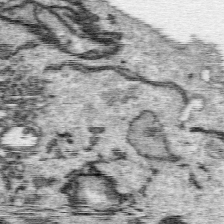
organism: Human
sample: HeLa cells